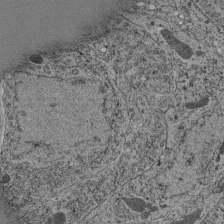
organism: C. elegans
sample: C. elegans pharynx